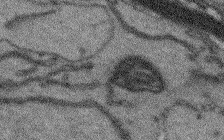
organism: Arabidopsis thaliana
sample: Root tip